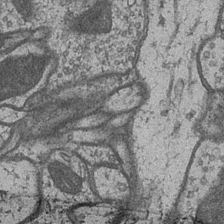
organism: Drosophila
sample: Optic medulla